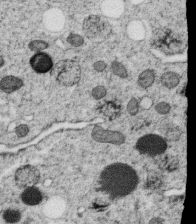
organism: C. elegans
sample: C. elegans oocyte; sperm cells